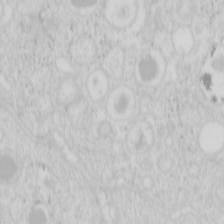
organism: Mouse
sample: Pancreas